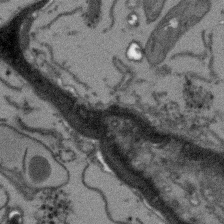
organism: Arabidopsis thaliana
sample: Root tip